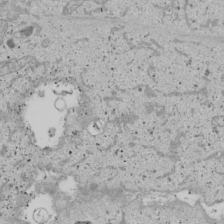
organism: Human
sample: Mitochondria in U2OS cells